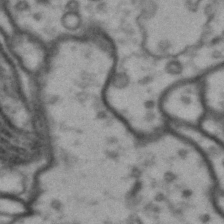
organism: Drosophila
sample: Brain